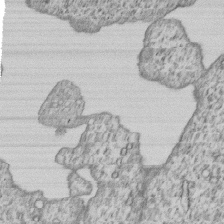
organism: Human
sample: MDA-MB-231 cells